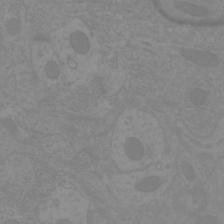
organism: Mouse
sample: Cortical neurons